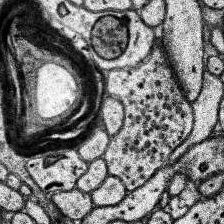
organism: Human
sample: Temporal Lobe